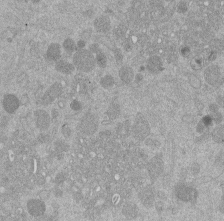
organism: Mouse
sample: Dividing mouse embryo 1 cell stage